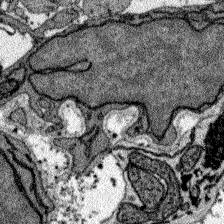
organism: Zebrafish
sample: Larval olfactory bulb